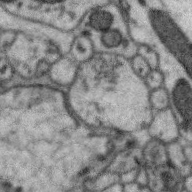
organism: Zebra finch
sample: Brain